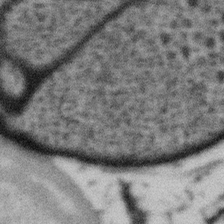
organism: Gemmata obscuriglobus